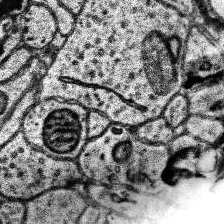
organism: Human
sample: Temporal Lobe